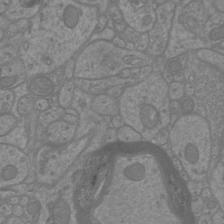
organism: Mouse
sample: Cortical neurons